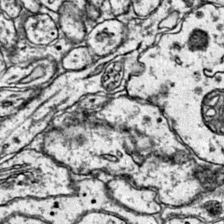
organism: Mouse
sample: Primary visual cortex